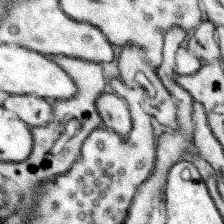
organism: Mouse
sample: Somatosensory cortex neuropil